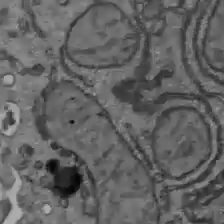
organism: C57BL Mouse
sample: Liver